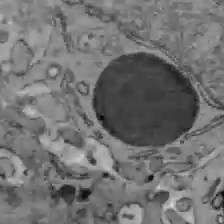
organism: C57BL Mouse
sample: Liver